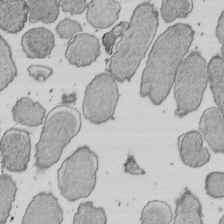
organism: E. coli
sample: Bacterial nucleoid